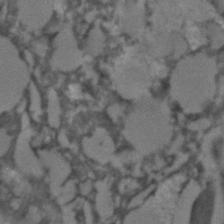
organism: C. elegans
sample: C. elegans embryo